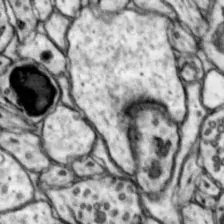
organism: Mouse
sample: Nucleus accumbens